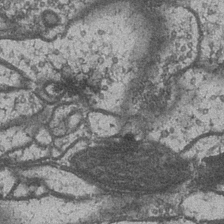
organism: Drosophila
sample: Optic medulla